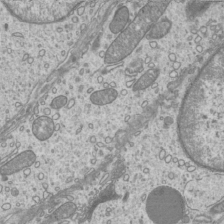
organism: Mouse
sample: Cilia; mouse epididymis